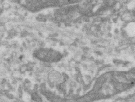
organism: Human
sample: Centriole in RPE cells